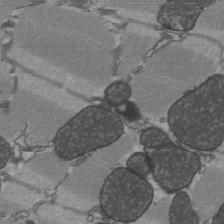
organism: C57BL Mouse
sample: Heart